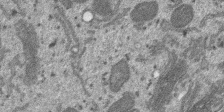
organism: Human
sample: Lung epithelial cells infected with SARS-CoV-2